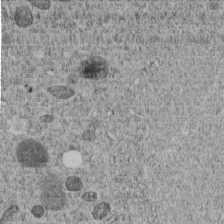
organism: C. elegans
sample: C. elegans embryo early stage